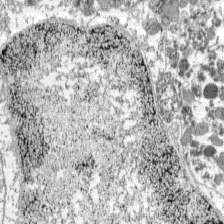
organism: C57BL Mouse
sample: Pancreatic islet